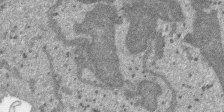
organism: Human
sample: Lung epithelial cells infected with SARS-CoV-2